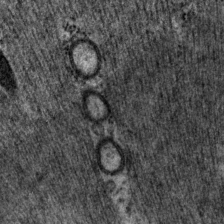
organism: P. pacificus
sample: Pharynx